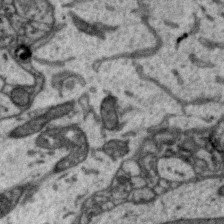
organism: Zebra finch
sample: Brain